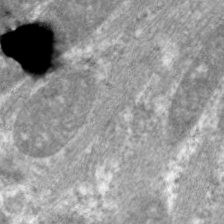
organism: C. elegans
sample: Pharynx